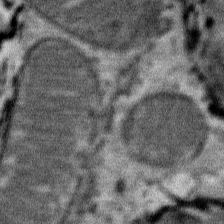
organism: Mouse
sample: Mouse Salivary gland